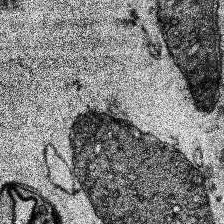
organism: Human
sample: Temporal Lobe